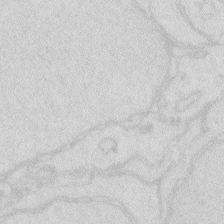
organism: Zebrafish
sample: Macrophage